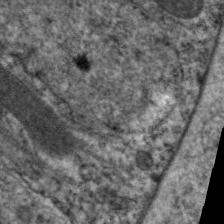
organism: C. elegans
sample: Pharynx